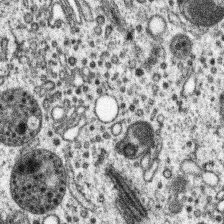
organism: Human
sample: HeLa cells